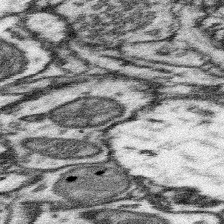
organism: Mouse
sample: Somatosensory cortex neuropil